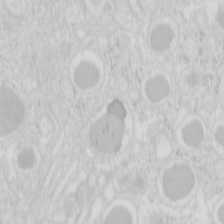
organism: Mouse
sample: Pancreas